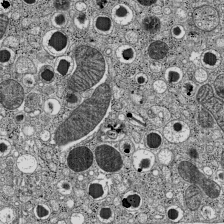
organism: C57BL Mouse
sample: Pancreatic islet